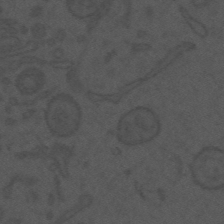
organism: Mouse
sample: Suprachiasmatic nucleus